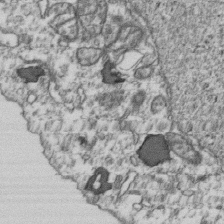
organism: Human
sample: Activated Jurkat CD4+ T cells